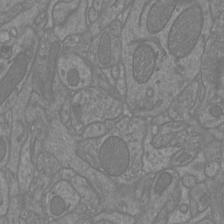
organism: Mouse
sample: Cortical neurons